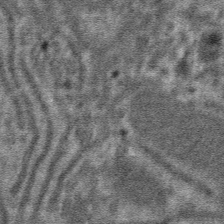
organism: Mouse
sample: Mouse hepatocytes